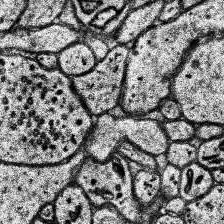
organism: Human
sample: Temporal Lobe